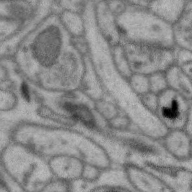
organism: Zebra finch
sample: Brain